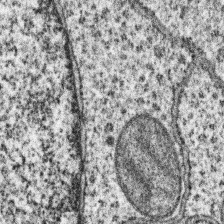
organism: Human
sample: HeLa cells